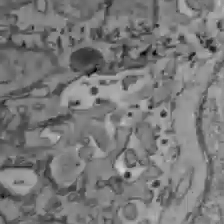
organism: C57BL Mouse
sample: Liver